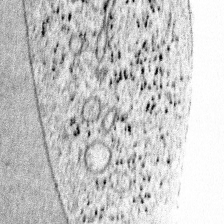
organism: Human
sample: HeLa cells